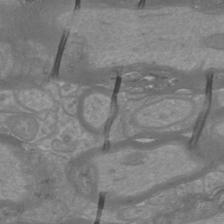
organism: Mouse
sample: Cortical neurons